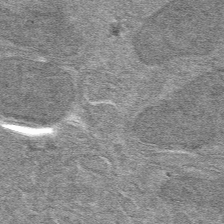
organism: Mouse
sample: Mouse hepatocytes